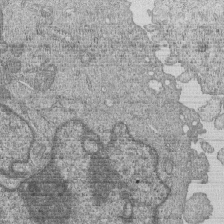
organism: Human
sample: MDA-MB-231 cells